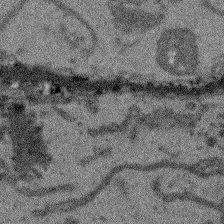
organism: Arabidopsis thaliana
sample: Root tip